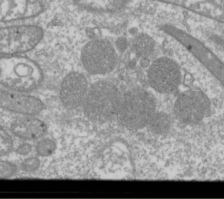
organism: Drosophila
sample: Cell division; meiosis; drosophila spermatocytes